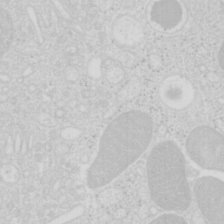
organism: Mouse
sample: Pancreas